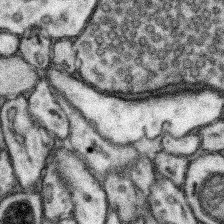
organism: Mouse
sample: Somatosensory cortex neuropil